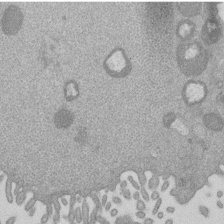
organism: Mouse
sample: Dividing mouse embryo 1 cell stage